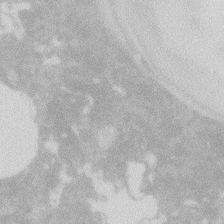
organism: Zebrafish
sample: Macrophage